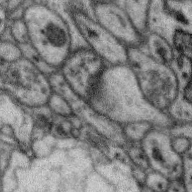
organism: Zebra finch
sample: Brain